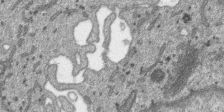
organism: Human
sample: Lung epithelial cells infected with SARS-CoV-2